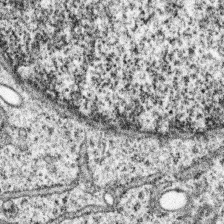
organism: Human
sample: HeLa cells